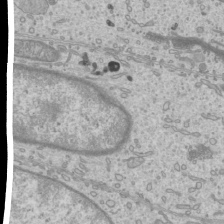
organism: Mouse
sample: Cilia; mouse epididymis